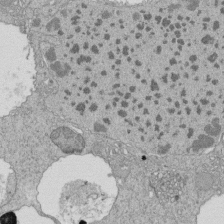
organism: Tetrahymena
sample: Cilia in tetrahymena